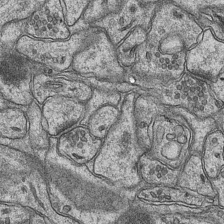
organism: Mouse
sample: CA1 Hippocampus